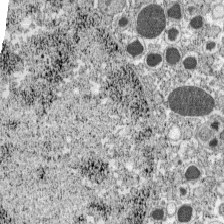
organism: C57BL Mouse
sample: Pancreatic islet